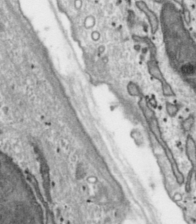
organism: Toxoplasma gondii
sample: Parasites in a vacuole inside a host cell